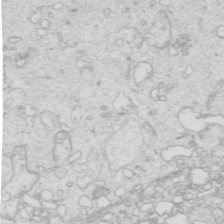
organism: Mouse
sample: Multiciliated cells